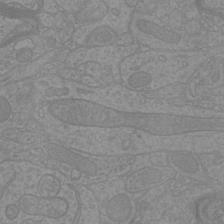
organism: Mouse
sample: Cortical neurons